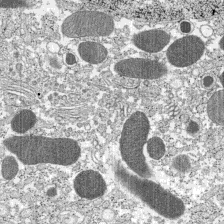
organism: C57BL Mouse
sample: Pancreatic islet